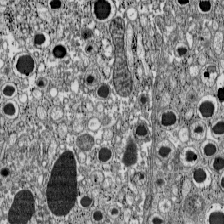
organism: C57BL Mouse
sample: Pancreatic islet